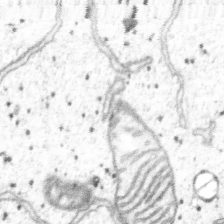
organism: Human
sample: HeLa cells